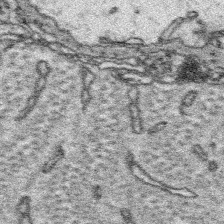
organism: Platynereis dumerilii